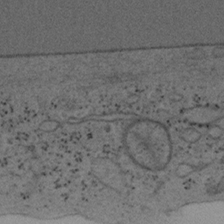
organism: Human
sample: HeLa cells